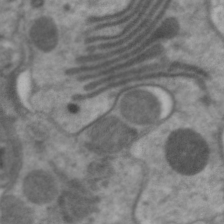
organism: C. elegans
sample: Pharynx